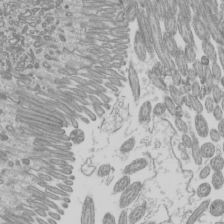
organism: Mouse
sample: Cilia; mouse epididymis